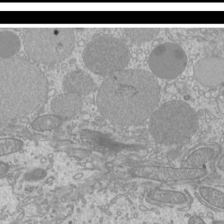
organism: Mouse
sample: Cilia; mouse epididymis